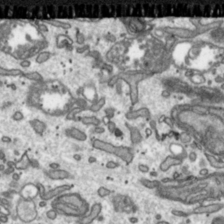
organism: Toxoplasma gondii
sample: Parasites in a vacuole inside a host cell